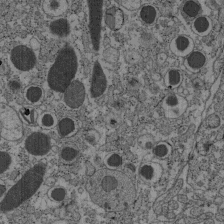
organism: C57BL Mouse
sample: Pancreatic islet